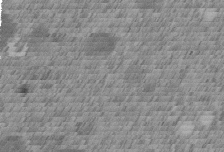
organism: C. elegans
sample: C. elegans embryo early stage